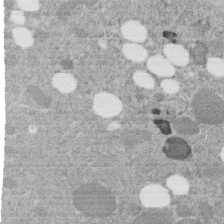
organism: C. elegans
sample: C. elegans embryo early stage